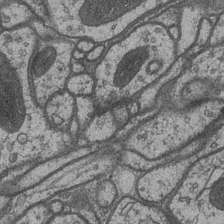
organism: Drosophila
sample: Optic medulla